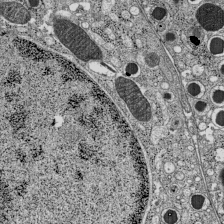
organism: C57BL Mouse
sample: Pancreatic islet